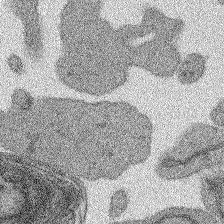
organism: Human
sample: HeLa cells